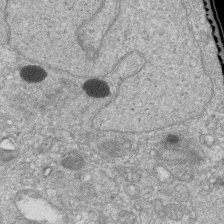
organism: Human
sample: HeLa cell HIV synapse